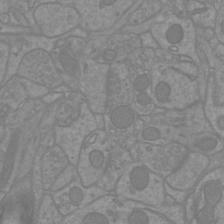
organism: Mouse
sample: Cortical neurons